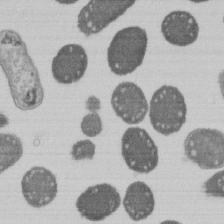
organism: E. coli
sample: Bacterial nucleoid